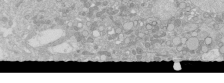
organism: Human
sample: Caco-2 cells